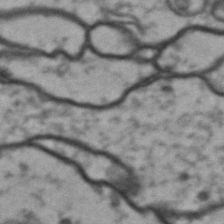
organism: Drosophila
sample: Brain